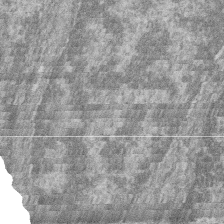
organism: Zebrafish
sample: Cilia; retinal pigment epithelium